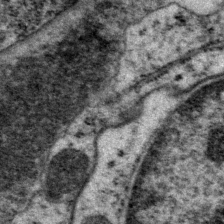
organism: P. pacificus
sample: Pharynx